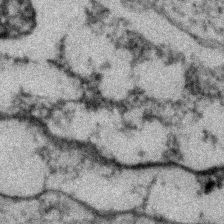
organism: Zebrafish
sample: Zebrafish embryo